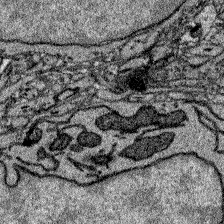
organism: Zebrafish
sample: Larval olfactory bulb